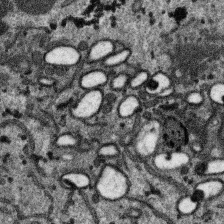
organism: Human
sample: Lung epithelial cells infected with SARS-CoV-2